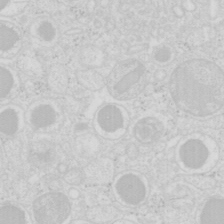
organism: Mouse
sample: Pancreas